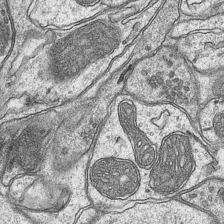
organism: Mouse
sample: CA1 Hippocampus